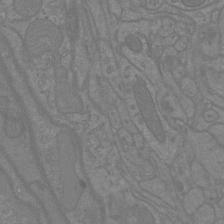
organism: Mouse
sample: Cortical neurons